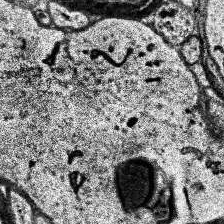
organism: Human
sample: Temporal Lobe